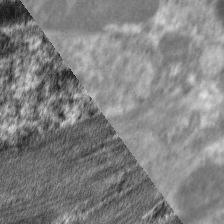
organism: C. elegans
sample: Pharynx